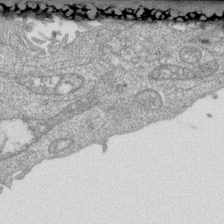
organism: Human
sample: HeLa cell HIV synapse